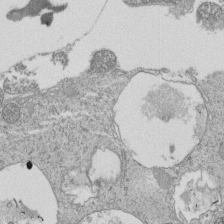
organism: Tetrahymena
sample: Cilia in tetrahymena